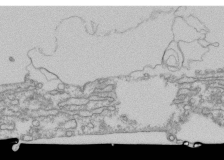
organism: Human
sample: Fibroblast cells